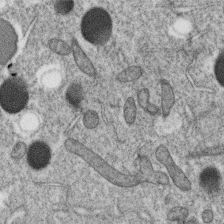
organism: C. elegans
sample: C. elegans oocyte; sperm cells